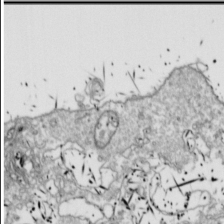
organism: Drosophila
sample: Cell division; meiosis; drosophila spermatocytes